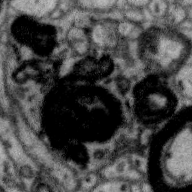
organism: Zebra finch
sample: Brain